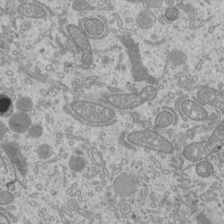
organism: Mouse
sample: Cilia; mouse epididymis